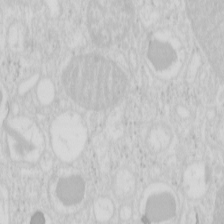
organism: Mouse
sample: Pancreas